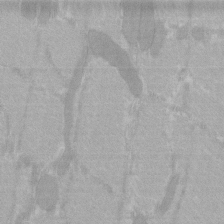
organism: C57BL Mouse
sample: Tibialis anterior muscle cell